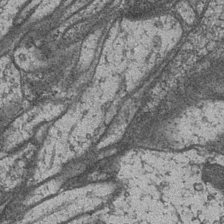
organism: Drosophila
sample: Optic medulla